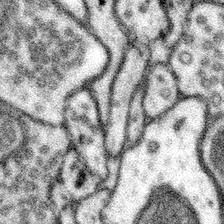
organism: Mouse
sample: Somatosensory cortex neuropil